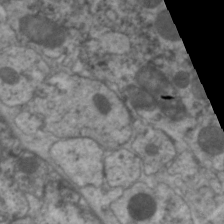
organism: C. elegans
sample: Pharynx